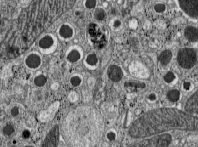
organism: C57BL Mouse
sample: Pancreatic islet